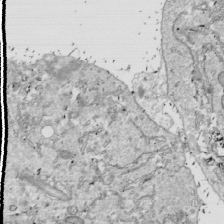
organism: Drosophila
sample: Cell division; meiosis; drosophila spermatocytes